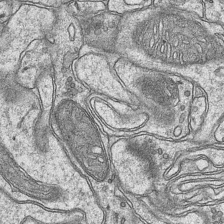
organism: Mouse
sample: CA1 Hippocampus